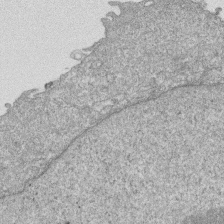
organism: Human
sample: HeLa cell HIV synapse